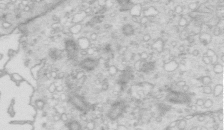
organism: Mouse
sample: Multiciliated cells